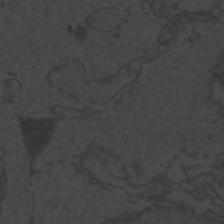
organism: Zebrafish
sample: Macrophage infected with Toxoplasma gondii